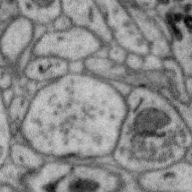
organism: Zebra finch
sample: Brain